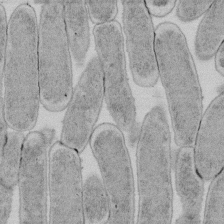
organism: E. coli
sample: Bacterial nucleoid